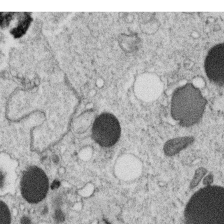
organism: C. elegans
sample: C. elegans oocyte; sperm cells